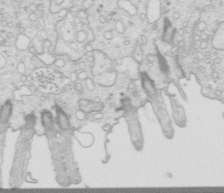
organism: Mouse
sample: Multiciliated cells